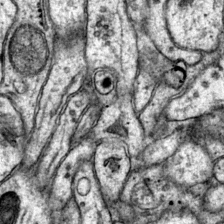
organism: Mouse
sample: Primary visual cortex